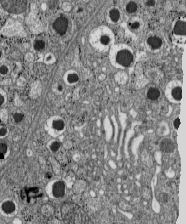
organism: C57BL Mouse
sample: Pancreatic islet